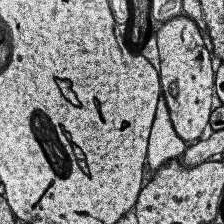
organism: Human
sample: Temporal Lobe